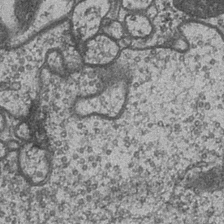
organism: Drosophila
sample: Optic medulla